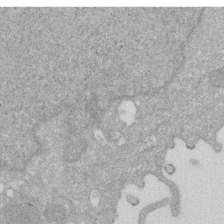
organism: Human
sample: HIV infected U937 cells